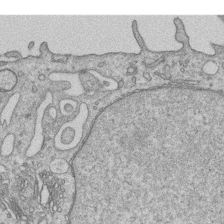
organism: Human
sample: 1205lu cells